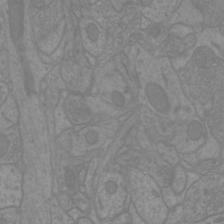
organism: Mouse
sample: Cortical neurons